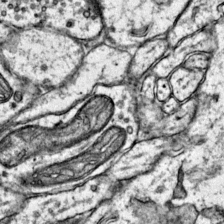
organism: Mouse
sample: Primary visual cortex